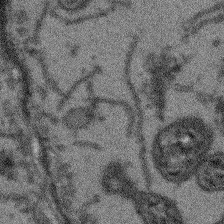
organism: Arabidopsis thaliana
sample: Root tip